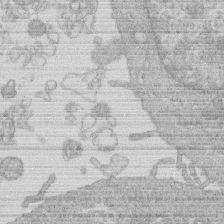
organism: Human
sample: Macrophage cells